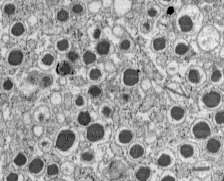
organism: C57BL Mouse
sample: Pancreatic islet